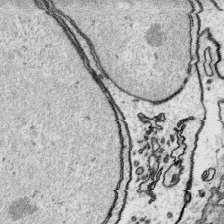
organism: Platynereis dumerilii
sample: Parapodia